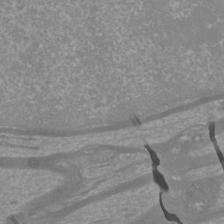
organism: Mouse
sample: Cortical neurons